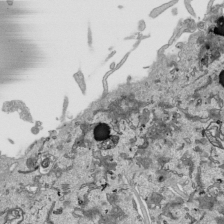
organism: Human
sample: Mitochondria in HCT116 cells